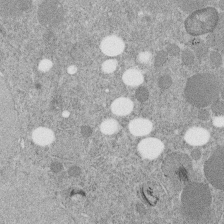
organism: C. elegans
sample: C. elegans embryo early stage